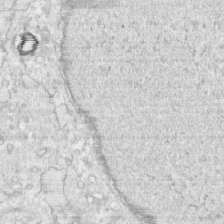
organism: Human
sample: CRL-1474